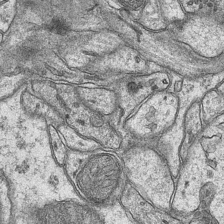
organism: Mouse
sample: CA1 Hippocampus